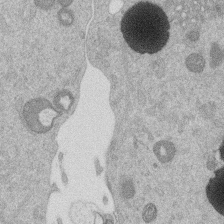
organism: Mouse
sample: Dividing mouse embryo 1 cell stage